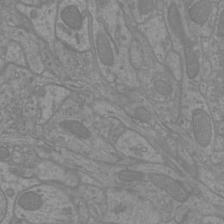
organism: Mouse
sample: Cortical neurons